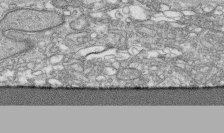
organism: Human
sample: CRL-1474